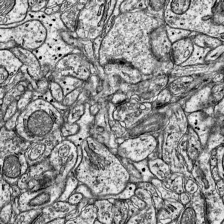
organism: Mouse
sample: Visual Cortex